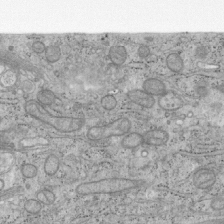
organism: Human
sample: HeLa cells